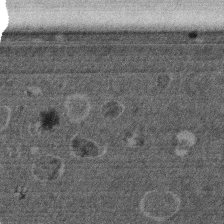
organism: Mouse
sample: Dividing mouse embryo 1 cell stage